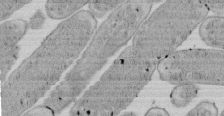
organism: E. coli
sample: Bacterial nucleoid